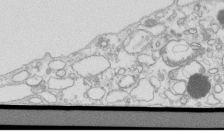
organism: Mouse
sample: Macrophages